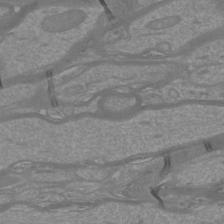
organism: Mouse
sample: Cortical neurons